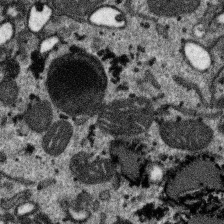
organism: Human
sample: Lung epithelial cells infected with SARS-CoV-2